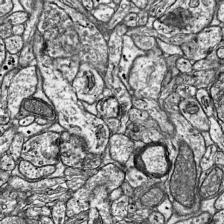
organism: Mouse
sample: Visual Cortex